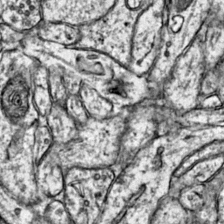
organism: Mouse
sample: Primary visual cortex